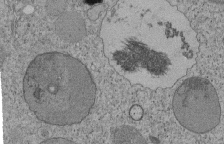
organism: Tetrahymena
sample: Cilia in tetrahymena